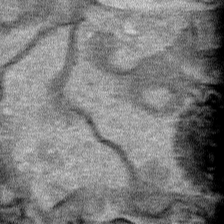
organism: Human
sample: Mitochondria in HCT116 cells